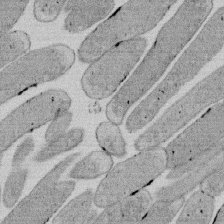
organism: E. coli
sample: Bacterial nucleoid